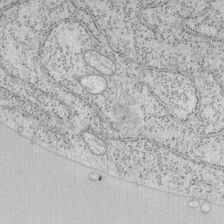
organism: Mouse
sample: OT-I killer T cells with ID8 ovarian cancer cells